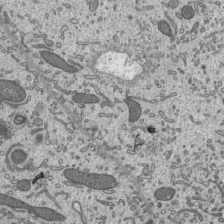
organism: Mouse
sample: Mouse epididymis efferent ductule cilia